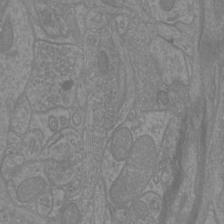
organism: Mouse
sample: Cortical neurons